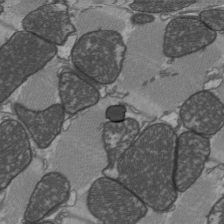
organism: C57BL Mouse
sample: Heart